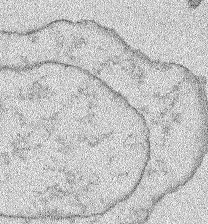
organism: Human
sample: HeLa cells